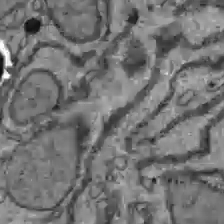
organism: C57BL Mouse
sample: Liver